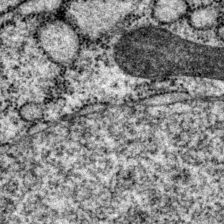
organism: P. pacificus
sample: Pharynx